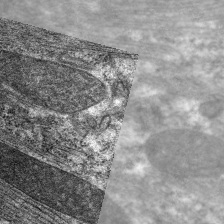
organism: C. elegans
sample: Pharynx